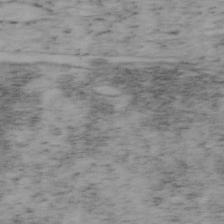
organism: Mouse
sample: OT-I killer T cells with ID8 ovarian cancer cells